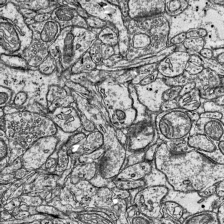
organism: Mouse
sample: Visual Cortex